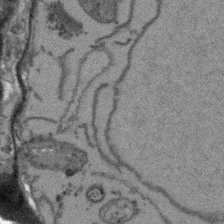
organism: Arabidopsis thaliana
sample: Root tip